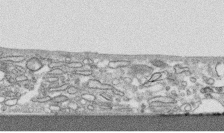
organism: Human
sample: CRL-1474